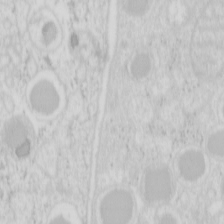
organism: Mouse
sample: Pancreas